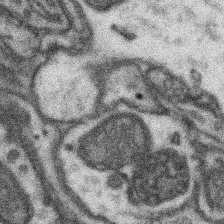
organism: Mouse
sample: Somatosensory cortex neuropil